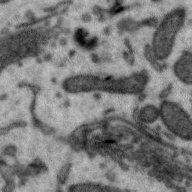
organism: Zebra finch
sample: Brain